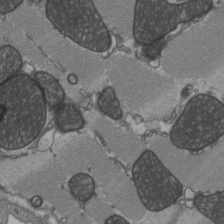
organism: C57BL Mouse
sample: Heart